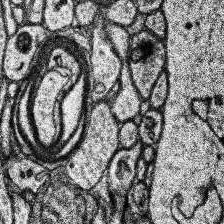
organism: Human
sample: Temporal Lobe